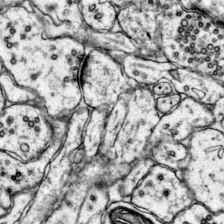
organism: Mouse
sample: Primary visual cortex